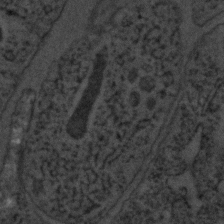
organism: C. elegans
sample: C. elegans embryo